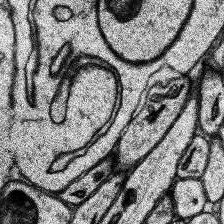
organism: Human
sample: Temporal Lobe